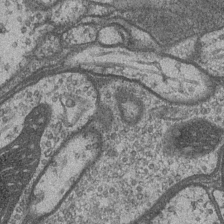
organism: Drosophila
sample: Optic medulla